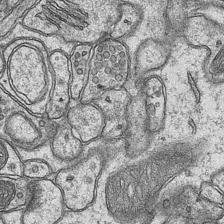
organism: Mouse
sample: CA1 Hippocampus